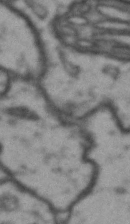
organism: Drosophila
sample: Brain